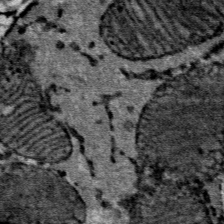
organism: Mouse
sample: Mouse Salivary gland